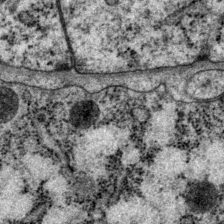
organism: P. pacificus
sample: Pharynx